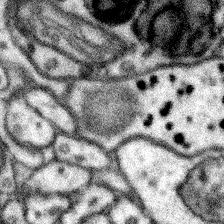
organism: Mouse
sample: Somatosensory cortex neuropil